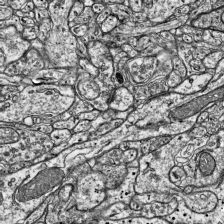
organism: Mouse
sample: Visual Cortex